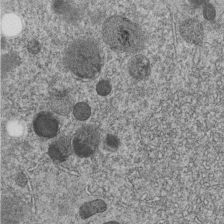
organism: C. elegans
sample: C. elegans embryo early stage